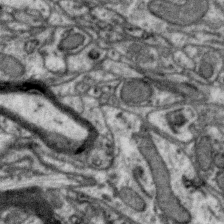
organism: Zebra finch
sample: Brain